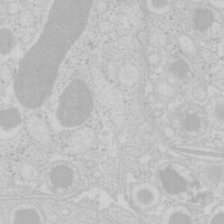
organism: Mouse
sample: Pancreas